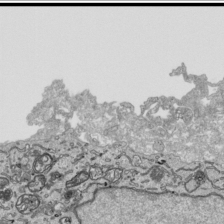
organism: Human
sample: Mitochondria in HCT116 cells